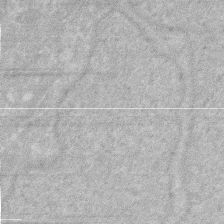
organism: Human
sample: HIV infected U937 cells